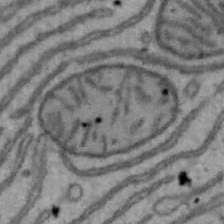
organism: Mouse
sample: Liver